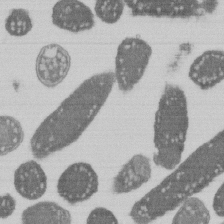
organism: E. coli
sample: Bacterial nucleoid